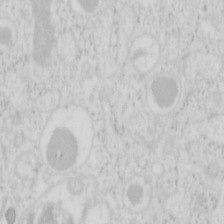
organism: Mouse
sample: Pancreas